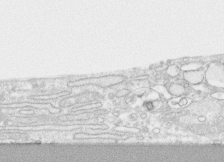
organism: Human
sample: CRL-1474